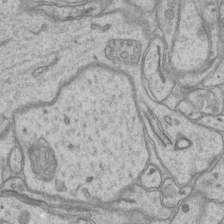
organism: Mouse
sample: CA1 Hippocampus